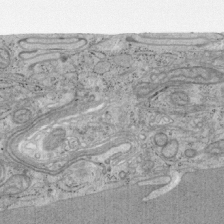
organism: Human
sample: HeLa cells